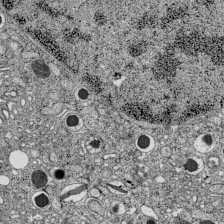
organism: C57BL Mouse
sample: Pancreatic islet